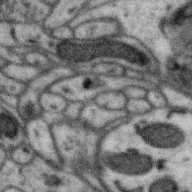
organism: Zebra finch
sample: Brain